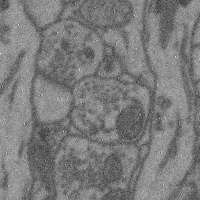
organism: Mouse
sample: Cerebral cortex